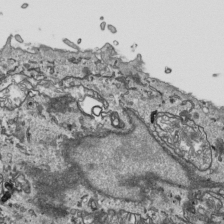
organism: Human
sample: Mitochondria in HCT116 cells